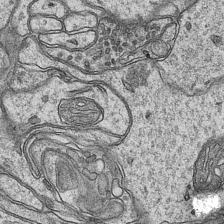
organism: Mouse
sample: CA1 Hippocampus